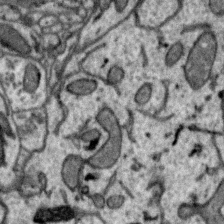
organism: Zebra finch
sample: Brain